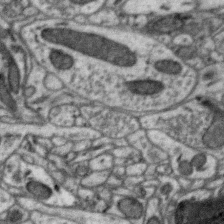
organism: Zebra finch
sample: Brain